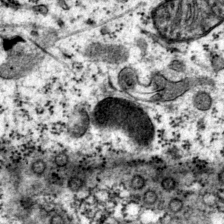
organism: Mouse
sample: Primary visual cortex